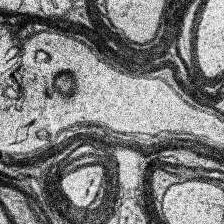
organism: Human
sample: Temporal Lobe